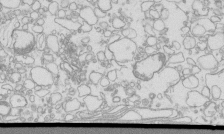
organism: Mouse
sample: Macrophages